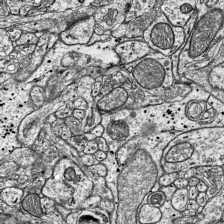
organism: Mouse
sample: Visual Cortex